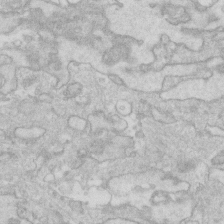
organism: Human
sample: Fibroblast cells